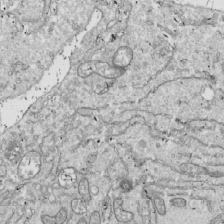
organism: Drosophila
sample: Cell division; meiosis; drosophila spermatocytes